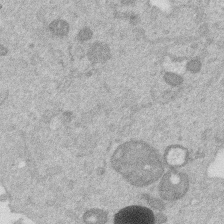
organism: Mouse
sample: Dividing mouse embryo 1 cell stage